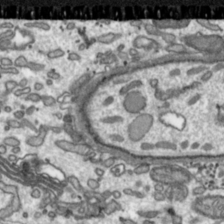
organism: Toxoplasma gondii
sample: Parasites in a vacuole inside a host cell